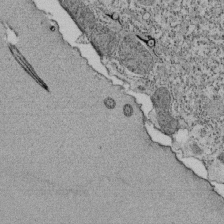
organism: Tetrahymena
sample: Cilia in tetrahymena